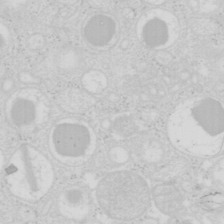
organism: Mouse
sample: Pancreas